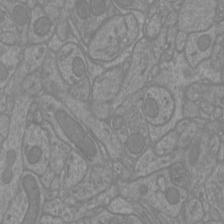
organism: Mouse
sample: Cortical neurons